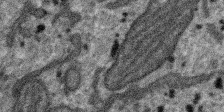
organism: Human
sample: Lung epithelial cells infected with SARS-CoV-2